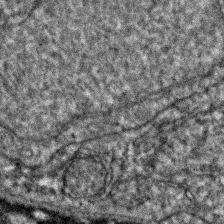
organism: Zebrafish